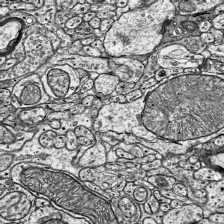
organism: Mouse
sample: Visual Cortex